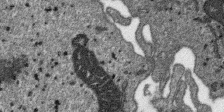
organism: Human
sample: Lung epithelial cells infected with SARS-CoV-2